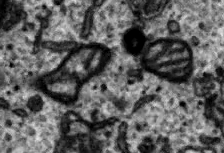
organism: Human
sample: HeLa cells